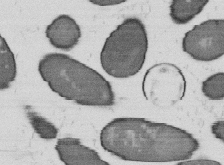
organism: B. subtilis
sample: Bacterial spore